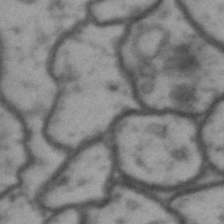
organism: Drosophila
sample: Brain